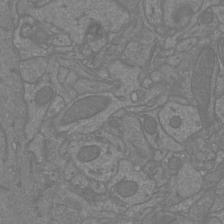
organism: Mouse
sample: Cortical neurons